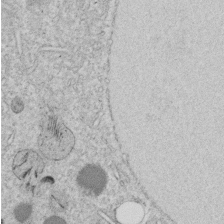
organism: C. elegans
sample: C. elegans embryo early stage